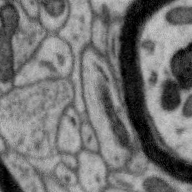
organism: Zebra finch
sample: Brain